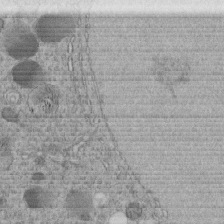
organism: C. elegans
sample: C. elegans embryo early stage